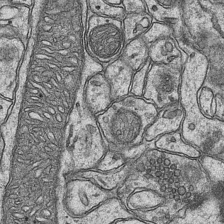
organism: Mouse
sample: CA1 Hippocampus